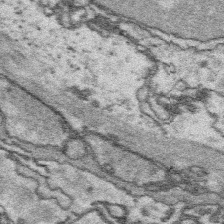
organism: Platynereis dumerilii